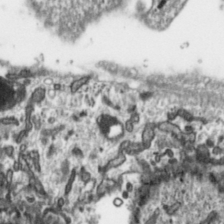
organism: Toxoplasma gondii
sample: Parasites in a vacuole inside a host cell